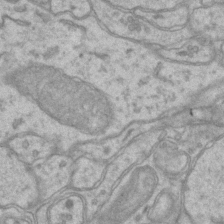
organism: Mouse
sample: CA1 Hippocampus